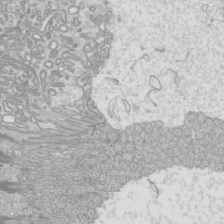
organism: Mouse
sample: Cilia; mouse epididymis